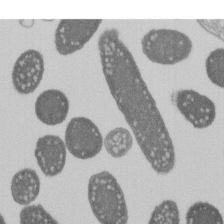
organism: E. coli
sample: Bacterial nucleoid